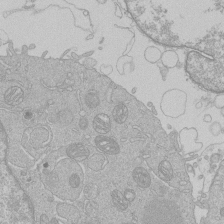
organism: Human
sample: Macrophage cells